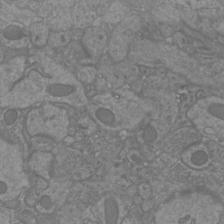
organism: Mouse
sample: Cortical neurons